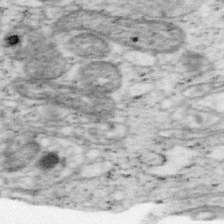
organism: Mouse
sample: OT-I killer T cells with ID8 ovarian cancer cells